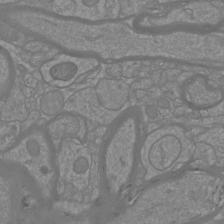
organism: Mouse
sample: Cortical neurons